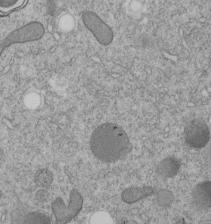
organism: C. elegans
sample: C. elegans embryo early stage